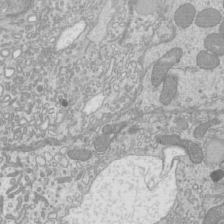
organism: Mouse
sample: Cilia; mouse epididymis